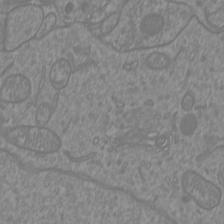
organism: Mouse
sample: Cortical neurons